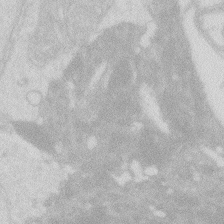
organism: Zebrafish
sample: Macrophage